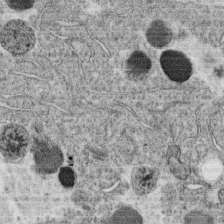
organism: C. elegans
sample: C. elegans oocyte; sperm cells